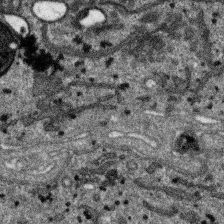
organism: Human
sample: Lung epithelial cells infected with SARS-CoV-2